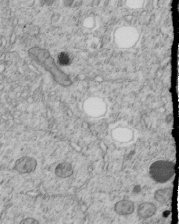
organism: C. elegans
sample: C. elegans embryo early stage